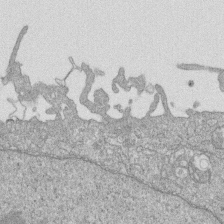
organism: Human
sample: HeLa cell HIV synapse